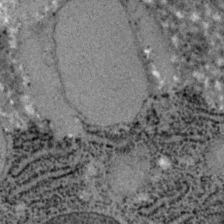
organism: C. elegans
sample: C. elegans embryo